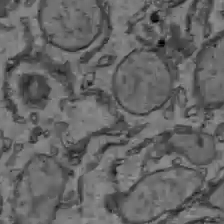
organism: C57BL Mouse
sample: Liver